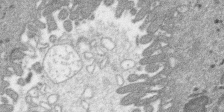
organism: Human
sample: Lung epithelial cells infected with SARS-CoV-2